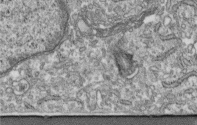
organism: Human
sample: Centriole in fibroblast cells